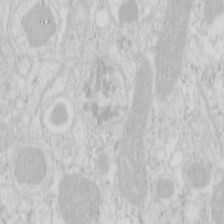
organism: Mouse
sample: Pancreas